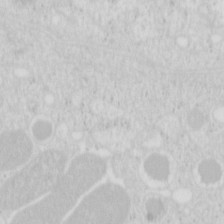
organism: Mouse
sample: Pancreas